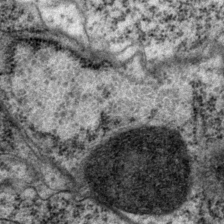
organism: P. pacificus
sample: Pharynx